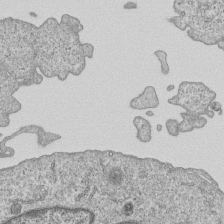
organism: Human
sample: MDA-MB-231 cells